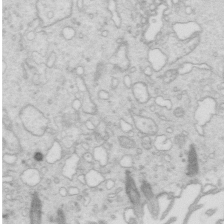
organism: Mouse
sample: Multiciliated cells